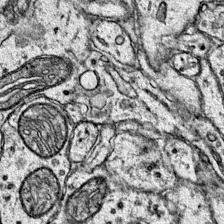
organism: Mouse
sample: Primary visual cortex